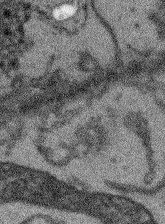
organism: Arabidopsis thaliana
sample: Root tip